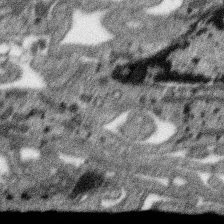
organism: Human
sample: Lung epithelial cells infected with SARS-CoV-2